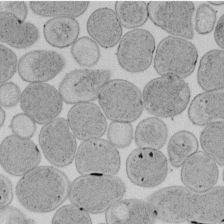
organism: E. coli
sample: Bacterial nucleoid